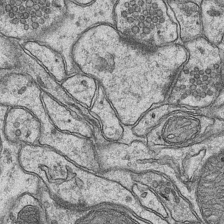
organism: Mouse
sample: CA1 Hippocampus